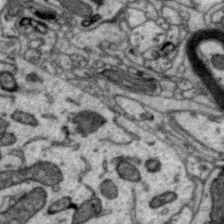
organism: Zebra finch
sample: Brain